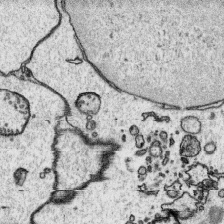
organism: Platynereis dumerilii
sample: Parapodia